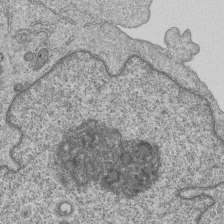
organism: Human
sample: MDA-MB-231 cells